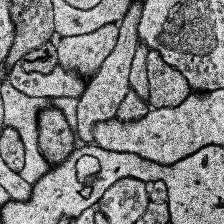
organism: Human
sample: Temporal Lobe